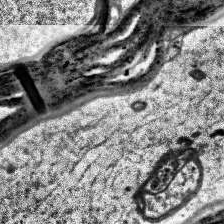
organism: Human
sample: Temporal Lobe